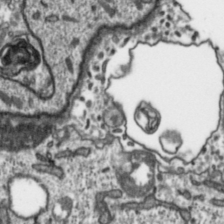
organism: Toxoplasma gondii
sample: Parasites in a vacuole inside a host cell